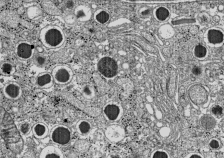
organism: C57BL Mouse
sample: Pancreatic islet